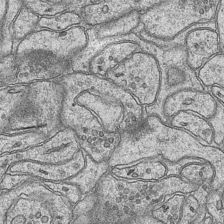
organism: Mouse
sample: CA1 Hippocampus